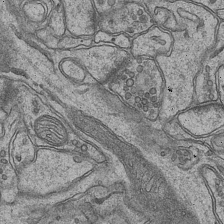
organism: Mouse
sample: CA1 Hippocampus